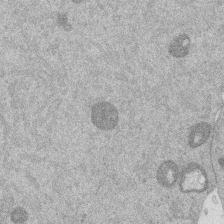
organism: Mouse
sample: Dividing mouse embryo 1 cell stage